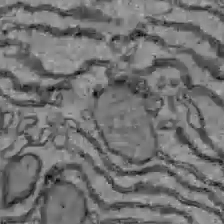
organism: C57BL Mouse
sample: Liver